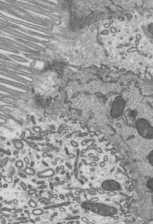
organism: Mouse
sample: Mouse epididymis efferent ductule cilia